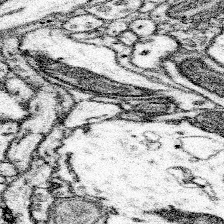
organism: Mouse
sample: Somatosensory cortex neuropil